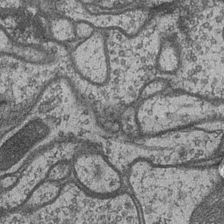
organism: Drosophila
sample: Optic medulla